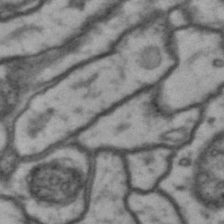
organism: Drosophila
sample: Brain